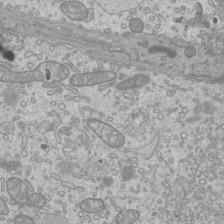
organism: Mouse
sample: Cilia; mouse epididymis